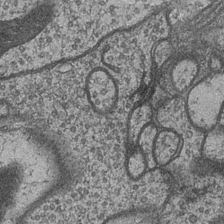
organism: Drosophila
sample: Optic medulla